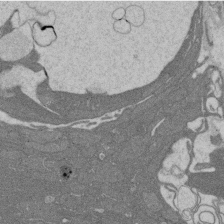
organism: Rat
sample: Salivary granule